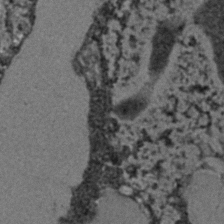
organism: C. elegans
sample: C. elegans embryo